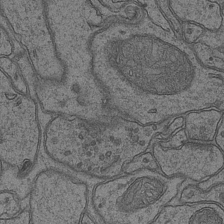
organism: Mouse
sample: CA1 Hippocampus